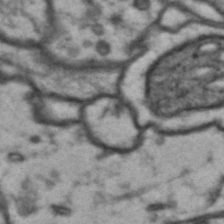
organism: Drosophila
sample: Brain